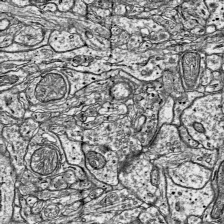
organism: Mouse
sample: Visual Cortex